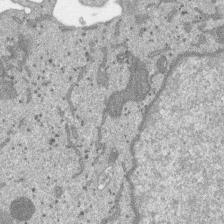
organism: Human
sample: Lung epithelial cells infected with SARS-CoV-2